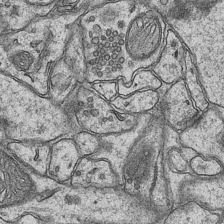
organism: Mouse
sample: CA1 Hippocampus